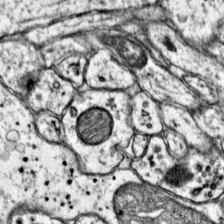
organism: Mouse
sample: Primary visual cortex